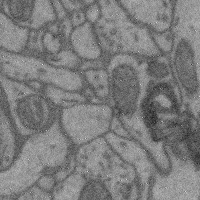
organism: Mouse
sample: Cerebral cortex